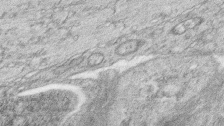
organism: Zebrafish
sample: synaptic ribbons in rod cells and cone cells